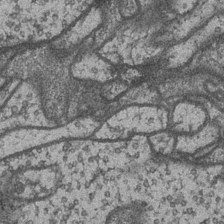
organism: Drosophila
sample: Optic medulla